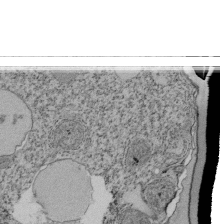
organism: Tetrahymena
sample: Cilia in tetrahymena